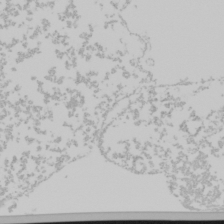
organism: Mouse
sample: Cancer cell death in ED-1 cells